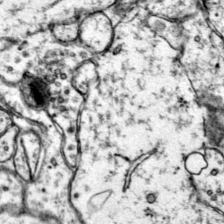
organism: Mouse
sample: Primary visual cortex